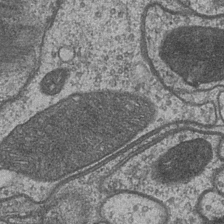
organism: Drosophila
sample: Optic medulla